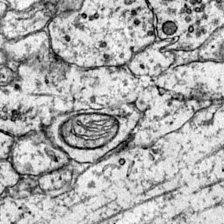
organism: Mouse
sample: Primary visual cortex